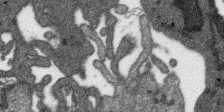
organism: Human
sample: Lung epithelial cells infected with SARS-CoV-2